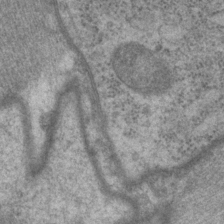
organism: P. pacificus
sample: Pharynx